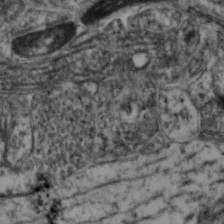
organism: Mouse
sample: Neocortex